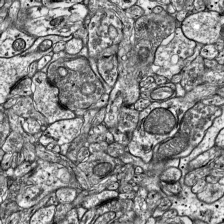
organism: Mouse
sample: Visual Cortex